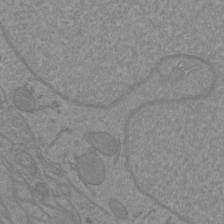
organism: Mouse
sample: Cortical neurons